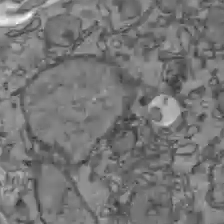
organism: C57BL Mouse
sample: Liver